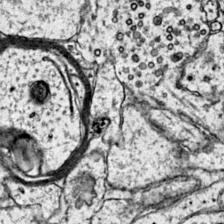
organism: Mouse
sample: Primary visual cortex